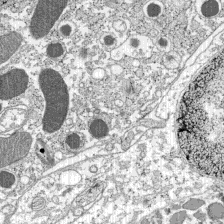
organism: C57BL Mouse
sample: Pancreatic islet